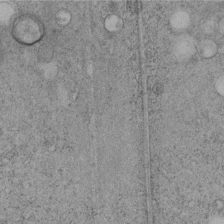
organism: C. elegans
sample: C. elegans embryo early stage